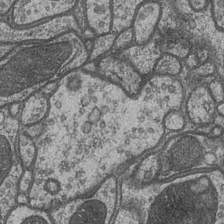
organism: Drosophila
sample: Optic medulla